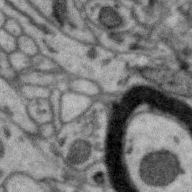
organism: Zebra finch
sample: Brain